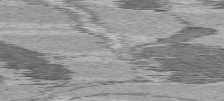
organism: C57BL Mouse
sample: Heart